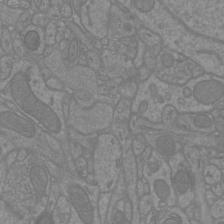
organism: Mouse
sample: Cortical neurons